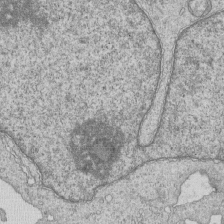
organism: Human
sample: MDA-MB-231 cells